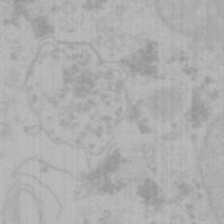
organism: Mouse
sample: Choroid plexus